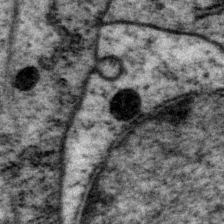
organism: P. pacificus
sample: Pharynx